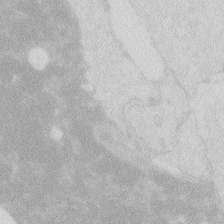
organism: Zebrafish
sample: Macrophage